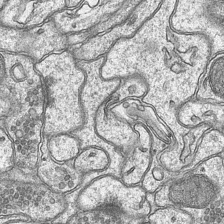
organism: Mouse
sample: CA1 Hippocampus